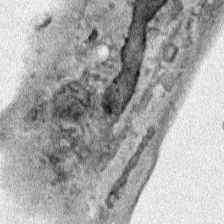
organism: Human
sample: Mitochondria in HCT116 cells